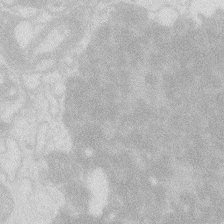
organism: Zebrafish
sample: Macrophage